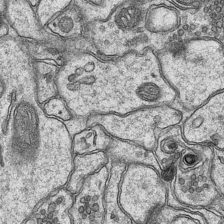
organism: Mouse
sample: CA1 Hippocampus